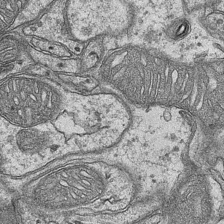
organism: Mouse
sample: CA1 Hippocampus